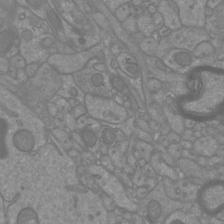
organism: Mouse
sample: Cortical neurons